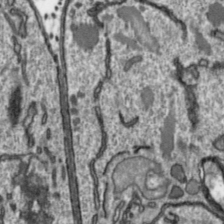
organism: Toxoplasma gondii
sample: Parasites in a vacuole inside a host cell